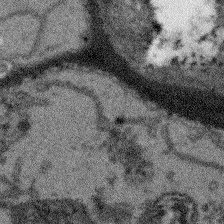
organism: Arabidopsis thaliana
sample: Root tip